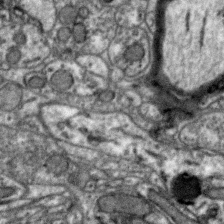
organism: Zebra finch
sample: Brain